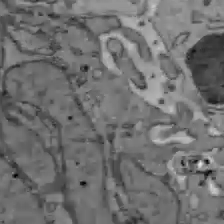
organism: C57BL Mouse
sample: Liver